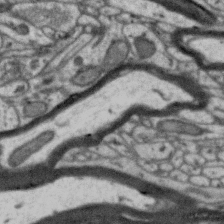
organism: Zebra finch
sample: Brain